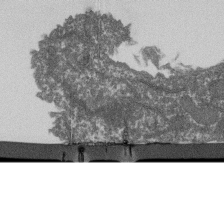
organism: Dictyostelium discoideum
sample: Dictyostelium multivesicular bodies